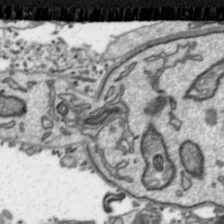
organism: Toxoplasma gondii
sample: Parasites in a vacuole inside a host cell